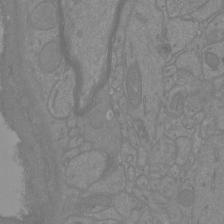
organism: Mouse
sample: Cortical neurons